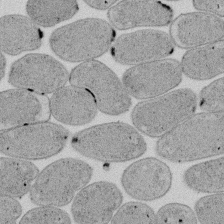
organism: E. coli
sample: Bacterial nucleoid